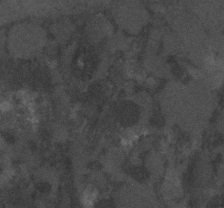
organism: C. elegans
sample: C. elegans embryo